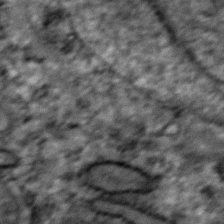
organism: Zebrafish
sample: Zebrafish embryo